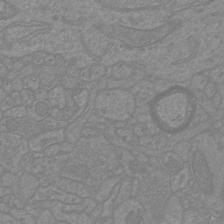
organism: Mouse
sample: Cortical neurons